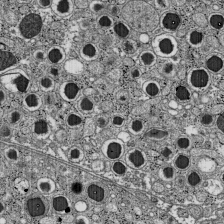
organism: C57BL Mouse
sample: Pancreatic islet